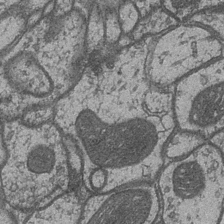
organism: Drosophila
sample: Optic medulla